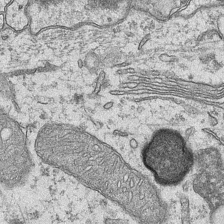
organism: Mouse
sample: CA1 Hippocampus